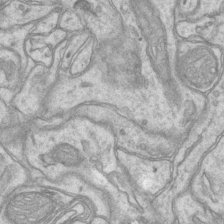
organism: Mouse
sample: CA1 Hippocampus